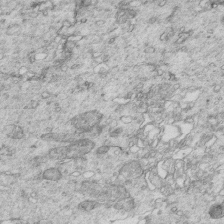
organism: Mouse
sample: Multiciliated cells